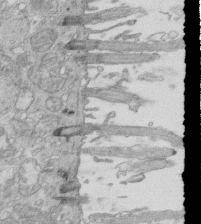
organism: Mouse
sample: Multiciliated cells